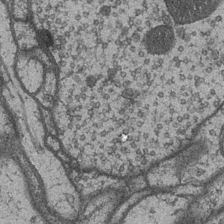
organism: Drosophila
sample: Optic medulla